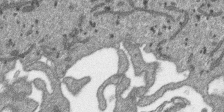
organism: Human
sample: Lung epithelial cells infected with SARS-CoV-2